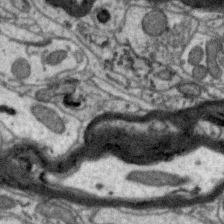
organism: Zebra finch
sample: Brain